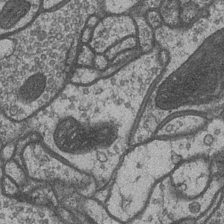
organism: Drosophila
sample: Optic medulla